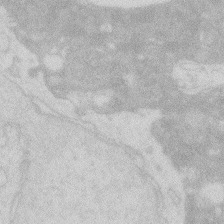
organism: Zebrafish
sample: Macrophage